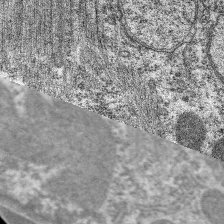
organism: C. elegans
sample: Pharynx